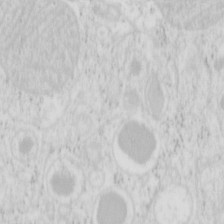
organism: Mouse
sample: Pancreas